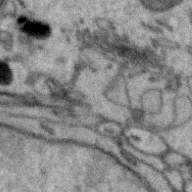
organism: Zebra finch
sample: Brain